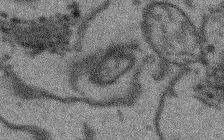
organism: Arabidopsis thaliana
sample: Root tip